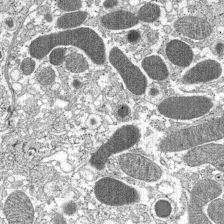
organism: C57BL Mouse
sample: Pancreatic islet